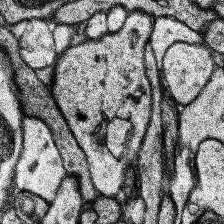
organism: Human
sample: Temporal Lobe